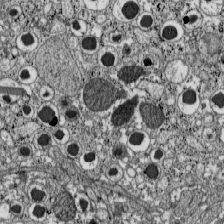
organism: C57BL Mouse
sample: Pancreatic islet